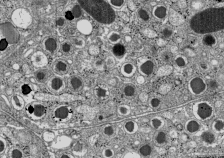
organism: C57BL Mouse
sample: Pancreatic islet